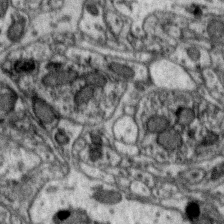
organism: Zebra finch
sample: Brain